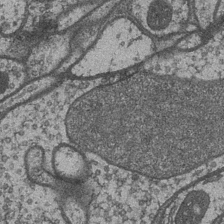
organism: Drosophila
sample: Optic medulla